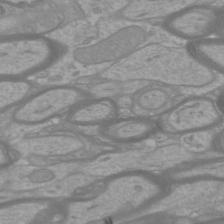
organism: Mouse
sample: Cortical neurons